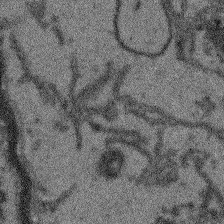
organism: Arabidopsis thaliana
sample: Root tip